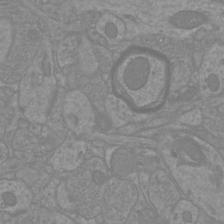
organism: Mouse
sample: Cortical neurons